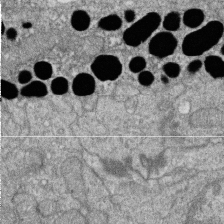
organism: Zebrafish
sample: Cilia; retinal pigment epithelium